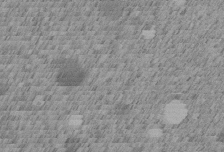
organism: C. elegans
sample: C. elegans embryo early stage